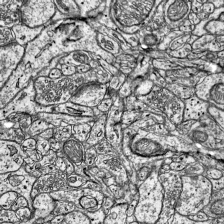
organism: Mouse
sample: Visual Cortex